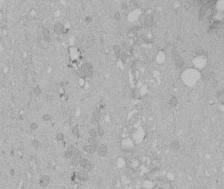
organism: Human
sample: Melanocyte Keratinocyte synapse skin construct